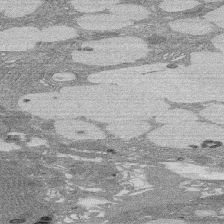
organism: Rat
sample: Salivary granule